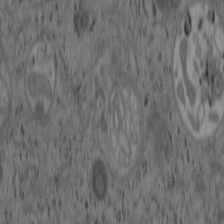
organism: Human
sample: HeLa cells